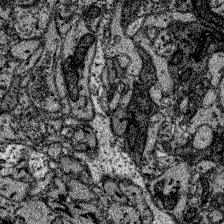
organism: Zebrafish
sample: Larval olfactory bulb